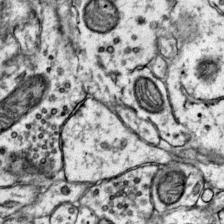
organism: Mouse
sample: Primary visual cortex